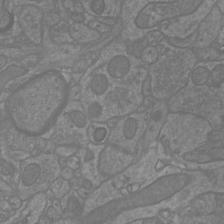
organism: Mouse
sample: Cortical neurons